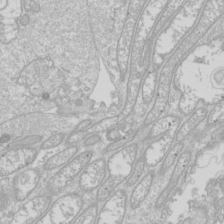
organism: Drosophila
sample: Cell division; meiosis; drosophila spermatocytes